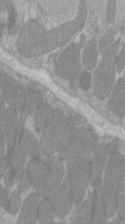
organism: C57BL Mouse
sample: Tibialis anterior muscle cell